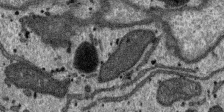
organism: Human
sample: Lung epithelial cells, uninfected (mock) control